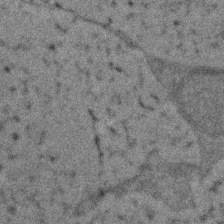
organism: Zebrafish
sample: Zebrafish embryo